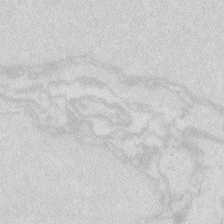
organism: Zebrafish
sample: Macrophage